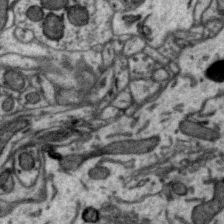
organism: Zebra finch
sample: Brain